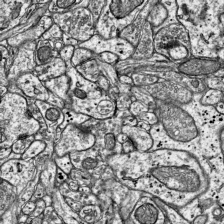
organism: Mouse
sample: Visual Cortex